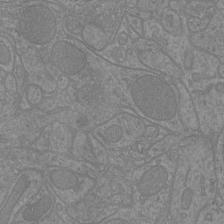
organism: Mouse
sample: Cortical neurons